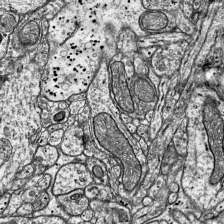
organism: Mouse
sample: Visual Cortex